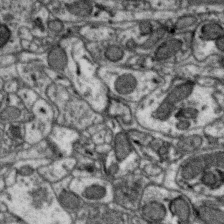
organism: Zebra finch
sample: Brain